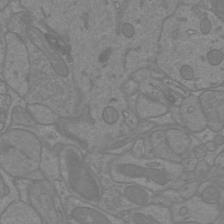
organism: Mouse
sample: Cortical neurons